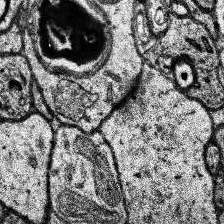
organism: Human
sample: Temporal Lobe